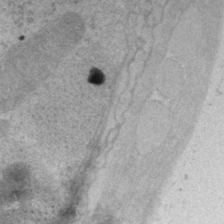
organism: P. pacificus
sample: Pharynx